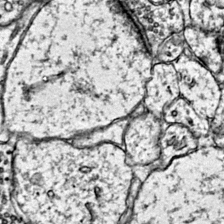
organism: Mouse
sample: Primary visual cortex